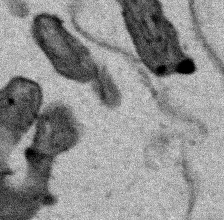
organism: Human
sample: Mitochondria in HCT116 cells